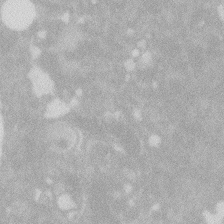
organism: Zebrafish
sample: Macrophage